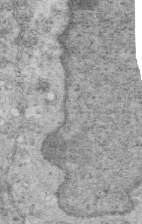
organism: Mouse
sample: Multiciliated cells